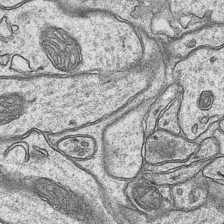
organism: Mouse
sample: CA1 Hippocampus